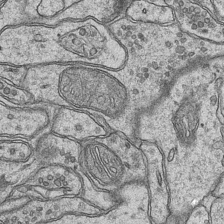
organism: Mouse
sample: CA1 Hippocampus